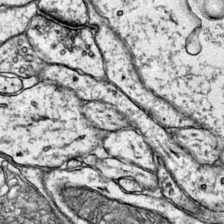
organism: Mouse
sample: Primary visual cortex